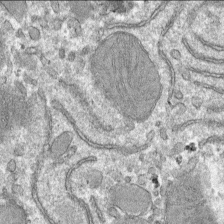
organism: Mouse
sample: Mouse hepatocytes